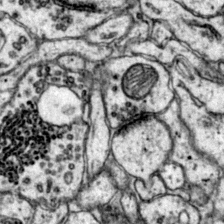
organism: Mouse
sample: Primary visual cortex